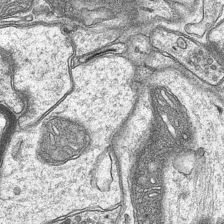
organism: Mouse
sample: CA1 Hippocampus